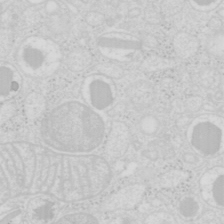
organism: Mouse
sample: Pancreas